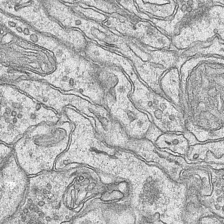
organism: Mouse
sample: CA1 Hippocampus